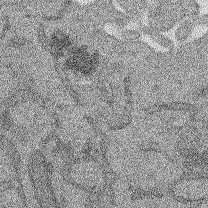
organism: Human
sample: HeLa cells